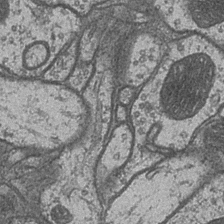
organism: Drosophila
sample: Optic medulla